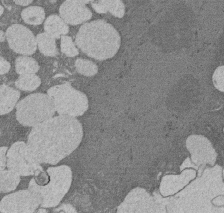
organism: Rat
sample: Salivary granule